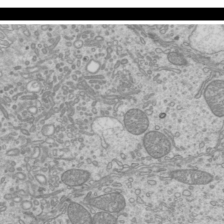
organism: Mouse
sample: Cilia; mouse epididymis